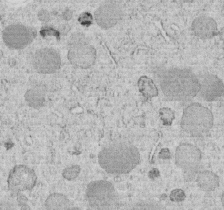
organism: C. elegans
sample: C. elegans embryo early stage